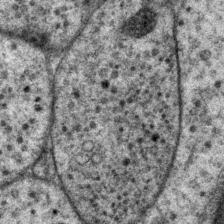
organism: P. pacificus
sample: Pharynx